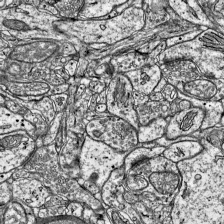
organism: Mouse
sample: Visual Cortex